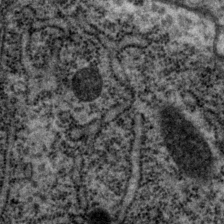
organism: P. pacificus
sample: Pharynx